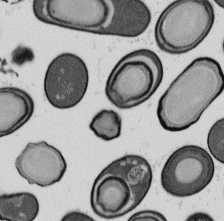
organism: B. subtilis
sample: Bacterial spore